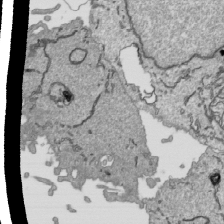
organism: Human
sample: Mitochondria in HCT116 cells